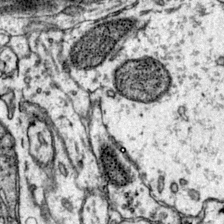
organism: Mouse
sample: Primary visual cortex